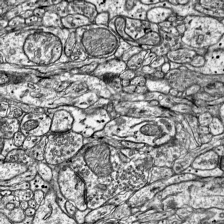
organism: Mouse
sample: Visual Cortex